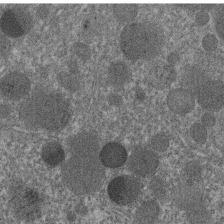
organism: C. elegans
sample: C. elegans embryo early stage